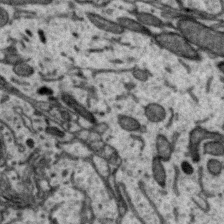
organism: Zebra finch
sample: Brain